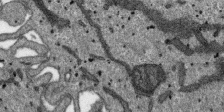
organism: Human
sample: Lung epithelial cells, uninfected (mock) control